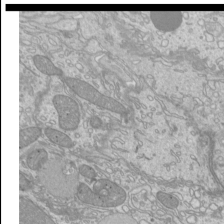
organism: Mouse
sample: Cilia; mouse epididymis